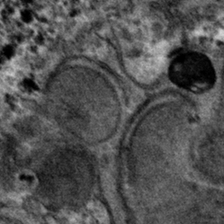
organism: Mouse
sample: Mouse hepatocytes